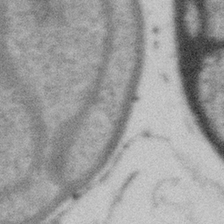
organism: Gemmata obscuriglobus